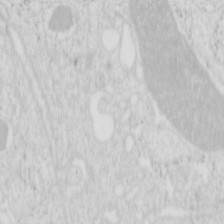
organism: Mouse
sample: Pancreas